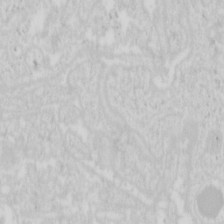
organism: Mouse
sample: Pancreas